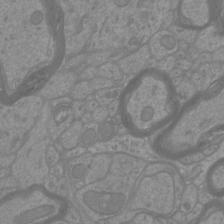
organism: Mouse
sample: Cortical neurons